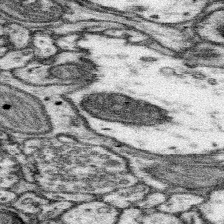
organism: Mouse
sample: Somatosensory cortex neuropil